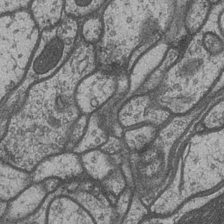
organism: Drosophila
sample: Optic medulla